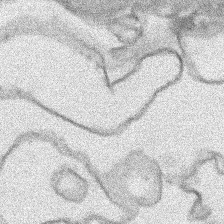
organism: Human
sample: Mitochondria in HCT116 cells